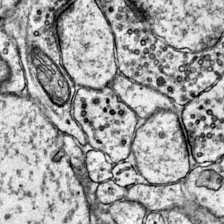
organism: Mouse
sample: Primary visual cortex